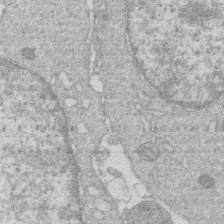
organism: Human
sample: Macrophage cells